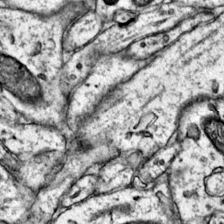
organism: Mouse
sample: Primary visual cortex